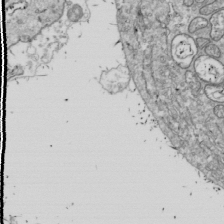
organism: Drosophila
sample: Cell division; meiosis; drosophila spermatocytes